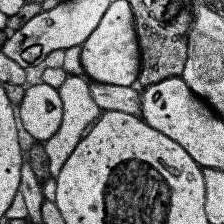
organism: Human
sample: Temporal Lobe